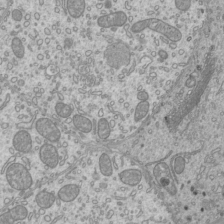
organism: Mouse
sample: Cilia; mouse epididymis